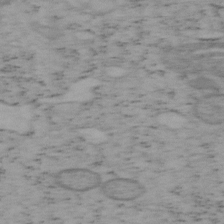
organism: Mouse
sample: OT-I killer T cells with ID8 ovarian cancer cells